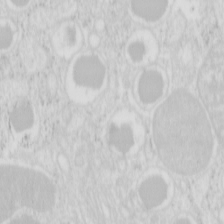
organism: Mouse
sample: Pancreas